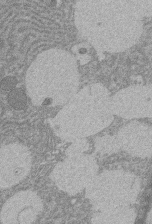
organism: Rat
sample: Salivary granule